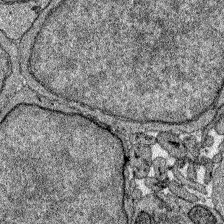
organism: Zebrafish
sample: Larval olfactory bulb